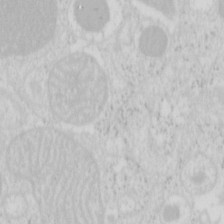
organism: Mouse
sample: Pancreas